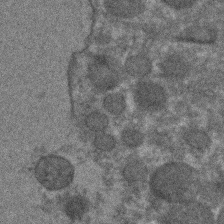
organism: C. elegans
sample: C. elegans embryo